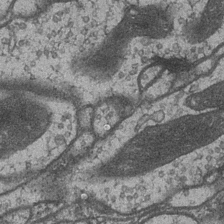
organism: Drosophila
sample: Optic medulla